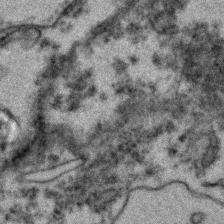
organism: Zebrafish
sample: Zebrafish embryo